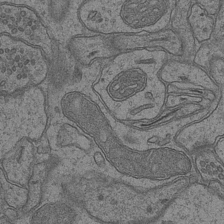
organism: Mouse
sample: CA1 Hippocampus